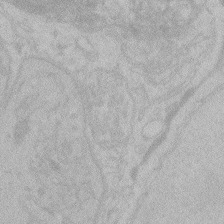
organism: Zebrafish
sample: Macrophage infected with Toxoplasma gondii